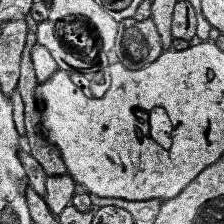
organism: Human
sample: Temporal Lobe